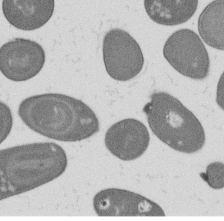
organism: B. subtilis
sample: Bacterial spore